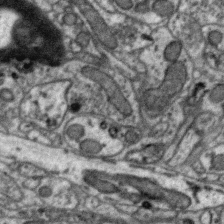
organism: Zebra finch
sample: Brain